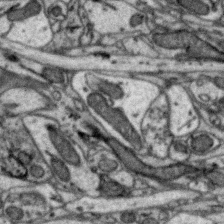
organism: Zebra finch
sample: Brain